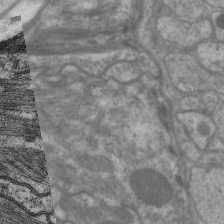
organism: C. elegans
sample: Pharynx